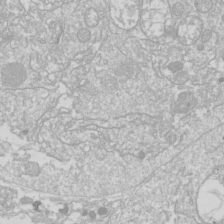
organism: Drosophila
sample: Cell division; meiosis; drosophila spermatocytes